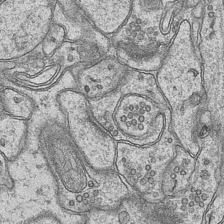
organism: Mouse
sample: CA1 Hippocampus